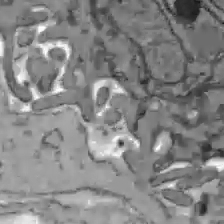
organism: C57BL Mouse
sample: Liver